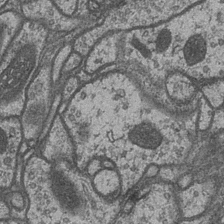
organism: Drosophila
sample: Optic medulla